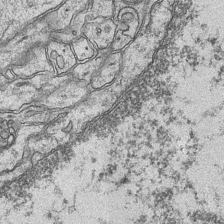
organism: Mouse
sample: CA1 Hippocampus